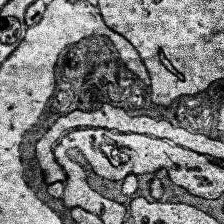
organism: Human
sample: Temporal Lobe